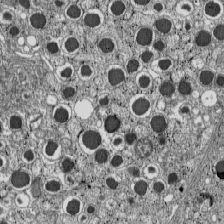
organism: C57BL Mouse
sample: Pancreatic islet